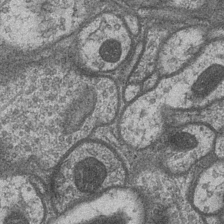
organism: Drosophila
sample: Optic medulla